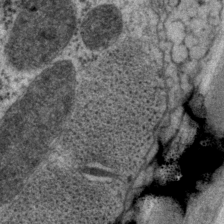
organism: P. pacificus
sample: Pharynx